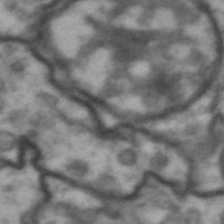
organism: Drosophila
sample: Brain